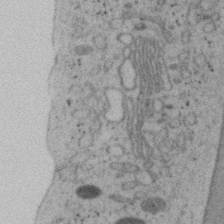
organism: Human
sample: HeLa cells